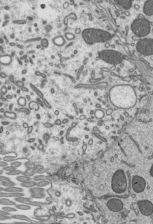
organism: Mouse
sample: Mouse epididymis efferent ductule cilia